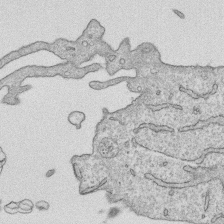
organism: Human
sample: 1205lu cells